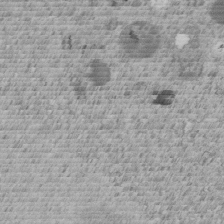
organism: C. elegans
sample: C. elegans embryo early stage